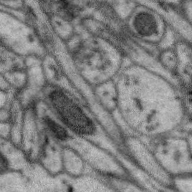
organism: Zebra finch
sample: Brain